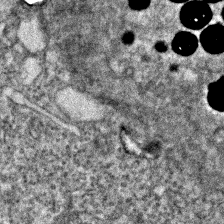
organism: Zebrafish